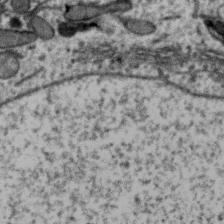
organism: Zebra finch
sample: Brain